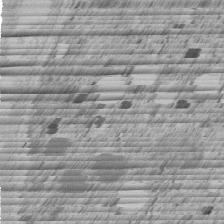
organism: C. elegans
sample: C. elegans embryo early stage